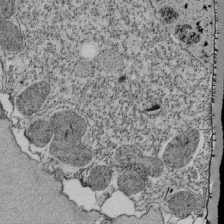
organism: Tetrahymena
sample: Cilia in tetrahymena